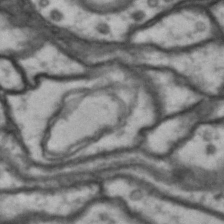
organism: Drosophila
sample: Brain